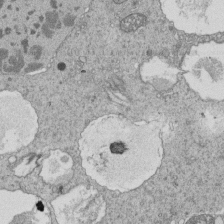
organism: Tetrahymena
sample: Cilia in tetrahymena